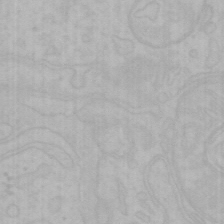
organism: Mouse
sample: Choroid plexus